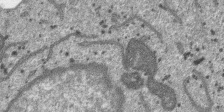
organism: Human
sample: Lung epithelial cells infected with SARS-CoV-2